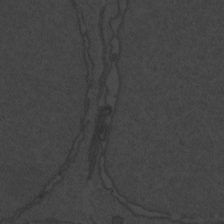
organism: Zebrafish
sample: Macrophage infected with Toxoplasma gondii